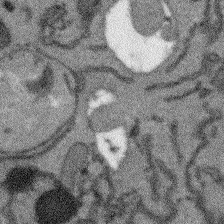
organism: Arabidopsis thaliana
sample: Root tip